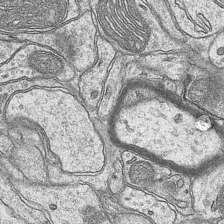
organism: Mouse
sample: CA1 Hippocampus